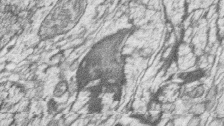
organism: Zebrafish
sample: synaptic ribbons in rod cells and cone cells